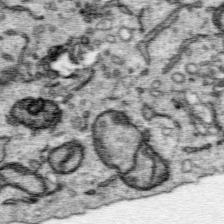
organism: Human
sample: HeLa cells